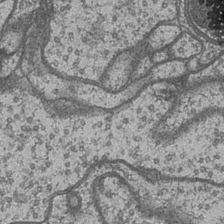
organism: Drosophila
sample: Optic medulla